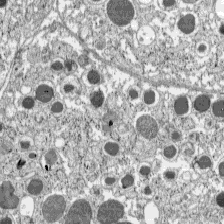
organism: C57BL Mouse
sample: Pancreatic islet